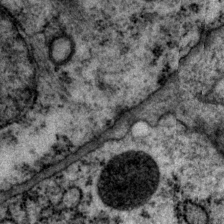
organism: P. pacificus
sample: Pharynx